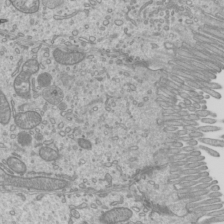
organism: Mouse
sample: Cilia; mouse epididymis